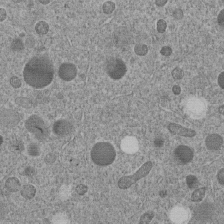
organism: C. elegans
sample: C. elegans embryo early stage